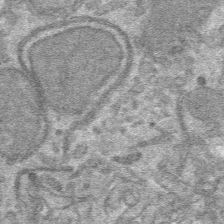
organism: Mouse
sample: Mouse hepatocytes